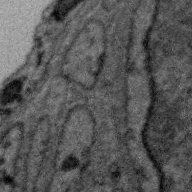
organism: Zebra finch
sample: Brain